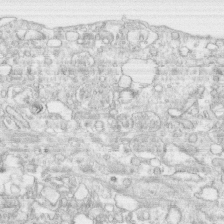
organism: Human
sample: CRL-1474